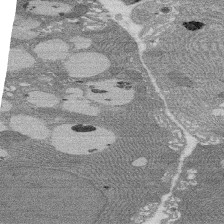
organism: Rat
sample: Salivary granule